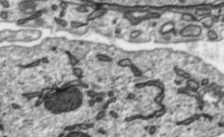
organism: Toxoplasma gondii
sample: Parasites in a vacuole inside a host cell